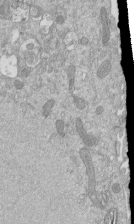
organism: Mouse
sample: ED-1 cell nuclei; centrioles